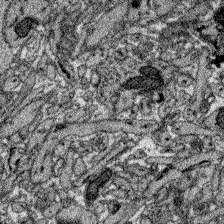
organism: Zebrafish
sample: Larval olfactory bulb